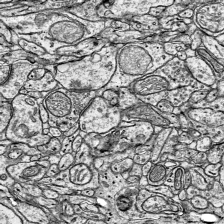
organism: Mouse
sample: Visual Cortex